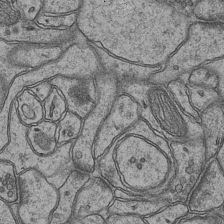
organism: Mouse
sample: CA1 Hippocampus